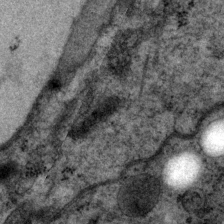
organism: P. pacificus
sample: Pharynx